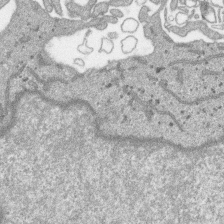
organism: Human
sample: Lung epithelial cells infected with SARS-CoV-2